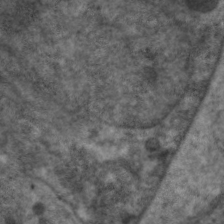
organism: C. elegans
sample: Pharynx